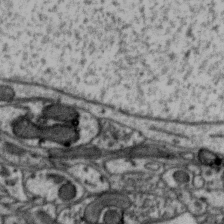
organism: Zebra finch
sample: Brain